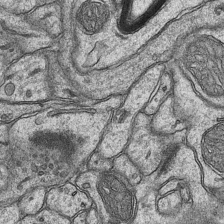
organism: Mouse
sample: CA1 Hippocampus